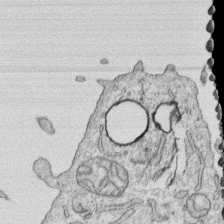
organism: Human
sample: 1205lu cells